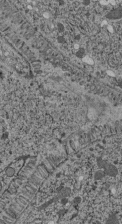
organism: C. elegans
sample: C. elegans pharynx